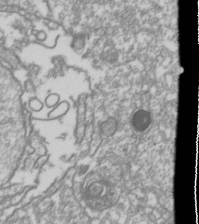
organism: Drosophila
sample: Cell division; meiosis; drosophila spermatocytes